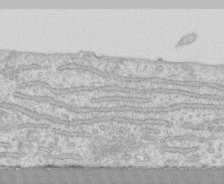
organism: Human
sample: CRL-1474